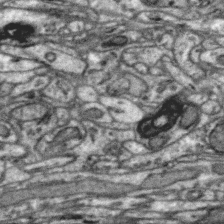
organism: Zebra finch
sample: Brain